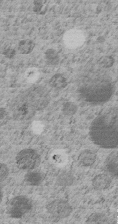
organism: C. elegans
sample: C. elegans embryo early stage